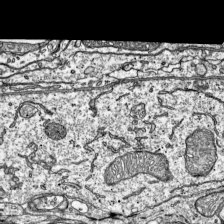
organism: Mouse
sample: Visual Cortex